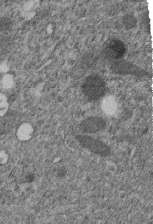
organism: C. elegans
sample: C. elegans embryo early stage